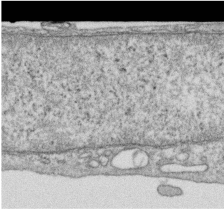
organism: Human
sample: Centriole in RPE cells